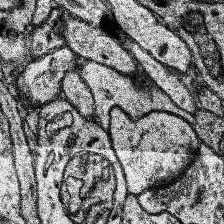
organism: Human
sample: Temporal Lobe